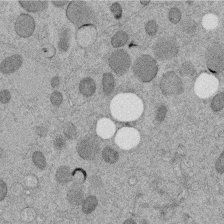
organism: C. elegans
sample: C. elegans embryo early stage